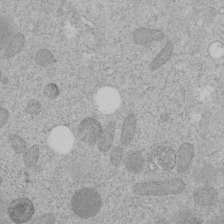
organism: C. elegans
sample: C. elegans embryo early stage